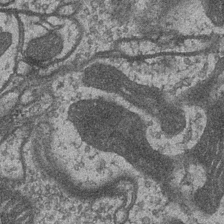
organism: Drosophila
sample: Optic medulla